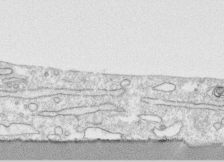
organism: Human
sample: CRL-1474